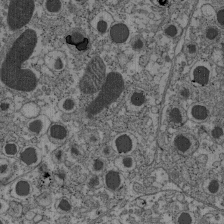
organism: C57BL Mouse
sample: Pancreatic islet